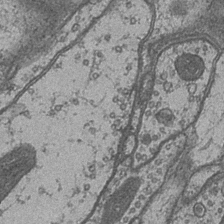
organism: Drosophila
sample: Optic medulla